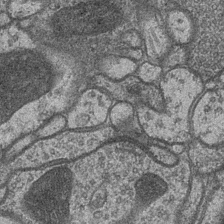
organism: Drosophila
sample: Optic medulla